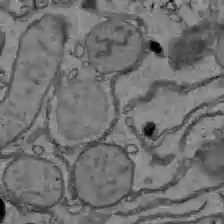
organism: C57BL Mouse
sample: Liver